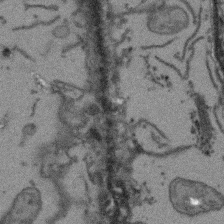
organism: Arabidopsis thaliana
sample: Root tip